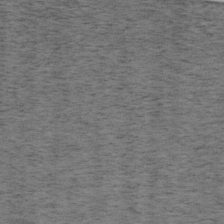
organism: Mouse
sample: OT-I killer T cells with ID8 ovarian cancer cells